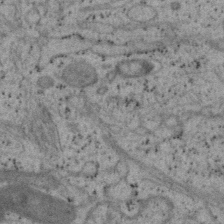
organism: Human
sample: HeLa cells